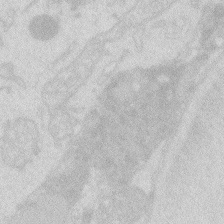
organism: Zebrafish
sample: Macrophage